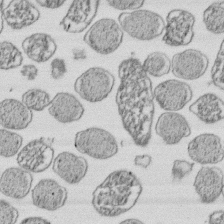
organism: E. coli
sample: Bacterial nucleoid